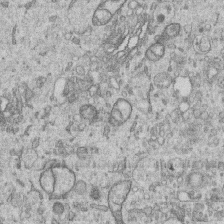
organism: Human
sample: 1205lu cells